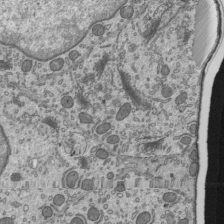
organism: Mouse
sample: Mouse epididymis efferent ductule cilia